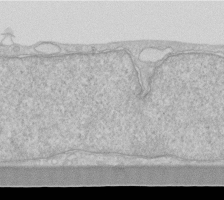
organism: Human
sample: Fibroblast cells